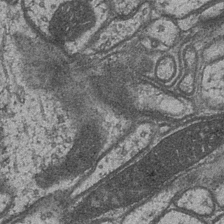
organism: Drosophila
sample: Optic medulla